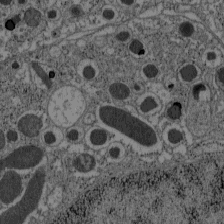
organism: C57BL Mouse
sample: Pancreatic islet